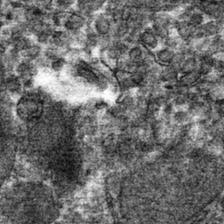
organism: Mouse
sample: Mouse hepatocytes